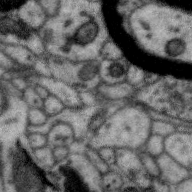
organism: Zebra finch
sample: Brain